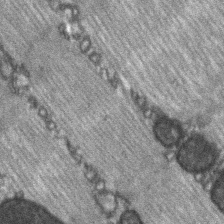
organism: C57BL Mouse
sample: Soleus